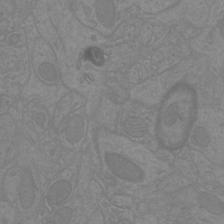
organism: Mouse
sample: Cortical neurons